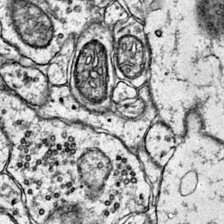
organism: Mouse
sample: Primary visual cortex